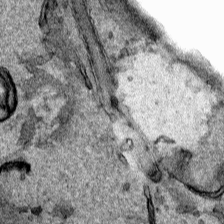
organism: Human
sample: Mitochondria in HCT116 cells